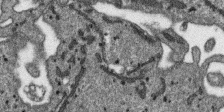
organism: Human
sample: Lung epithelial cells infected with SARS-CoV-2